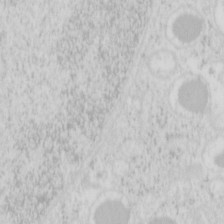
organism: Mouse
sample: Pancreas